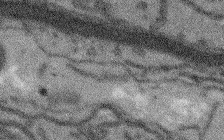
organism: Arabidopsis thaliana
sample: Root tip